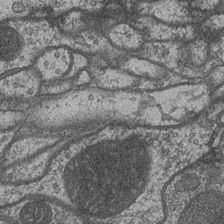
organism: Drosophila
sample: Optic medulla